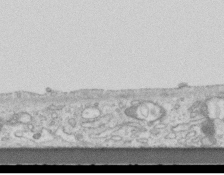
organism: Mouse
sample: Centriole in ependymal cells